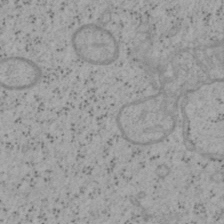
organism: Human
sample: HeLa cells